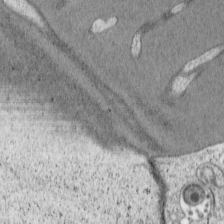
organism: African green monkey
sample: COS-7 cells